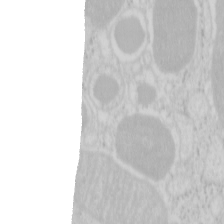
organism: Mouse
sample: Pancreas